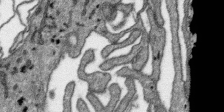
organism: Human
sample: Lung epithelial cells, uninfected (mock) control